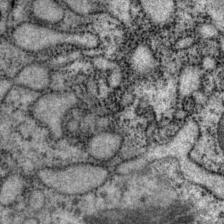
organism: P. pacificus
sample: Pharynx